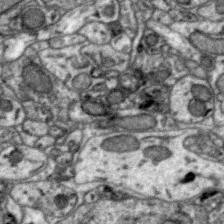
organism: Zebra finch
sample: Brain